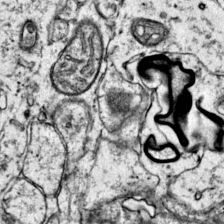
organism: Mouse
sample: Primary visual cortex